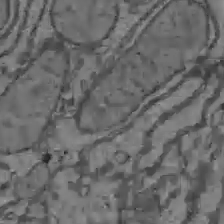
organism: C57BL Mouse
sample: Liver